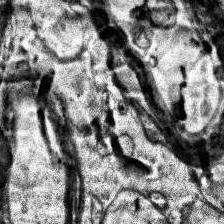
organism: Human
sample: Temporal Lobe